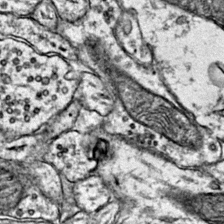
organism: Mouse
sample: Primary visual cortex